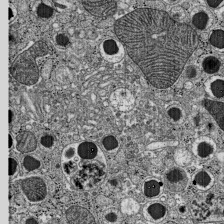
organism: C57BL Mouse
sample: Pancreatic islet